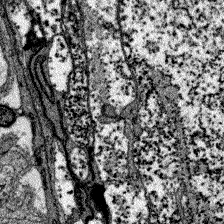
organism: Zebrafish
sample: Larval olfactory bulb